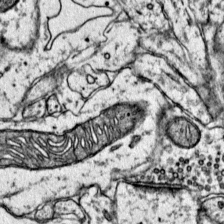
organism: Mouse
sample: Primary visual cortex